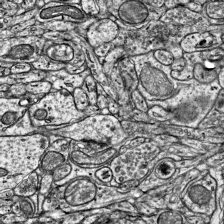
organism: Mouse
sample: Visual Cortex